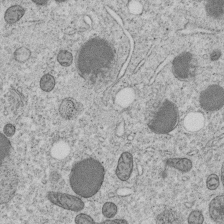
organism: C. elegans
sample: C. elegans embryo early stage